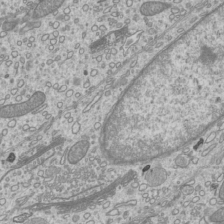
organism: Mouse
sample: Cilia; mouse epididymis